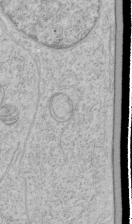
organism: Human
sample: Mitochondria in HCT116 cells